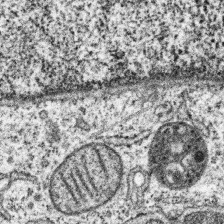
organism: Human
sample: HeLa cells